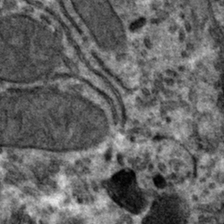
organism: Mouse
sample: Mouse hepatocytes